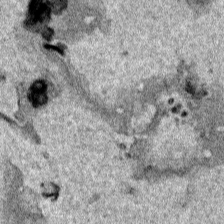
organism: Human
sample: Mitochondria in HCT116 cells